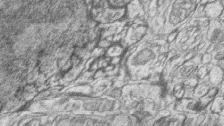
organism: Zebrafish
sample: synaptic ribbons in rod cells and cone cells